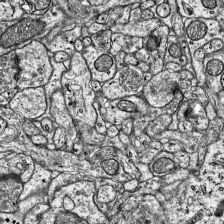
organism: Mouse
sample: Visual Cortex